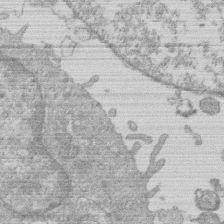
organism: Human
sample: Macrophage cells